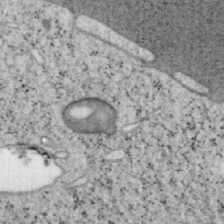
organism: Mouse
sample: OT-I killer T cells with ID8 ovarian cancer cells